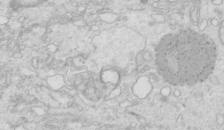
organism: Mouse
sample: Multiciliated cells